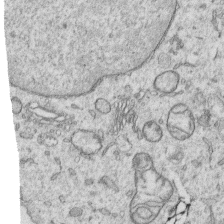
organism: Human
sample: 1205lu cells